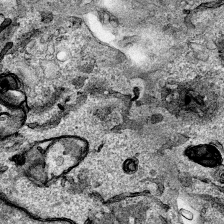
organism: Human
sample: Mitochondria in HCT116 cells